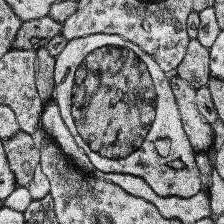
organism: Human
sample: Temporal Lobe